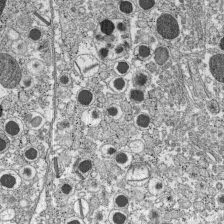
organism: C57BL Mouse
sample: Pancreatic islet